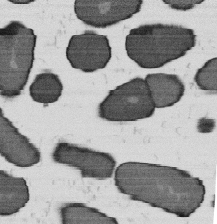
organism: B. subtilis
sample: Bacterial spore